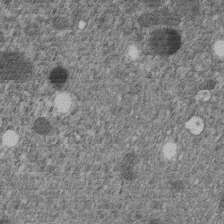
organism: C. elegans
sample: C. elegans embryo early stage